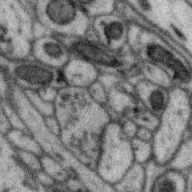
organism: Zebra finch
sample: Brain